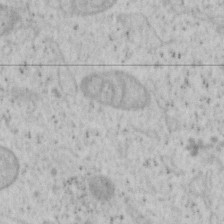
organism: Human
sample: HeLa cells